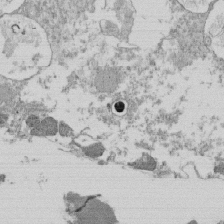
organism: Tetrahymena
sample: Cilia in tetrahymena